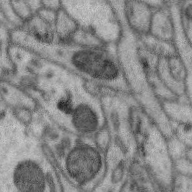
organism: Zebra finch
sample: Brain